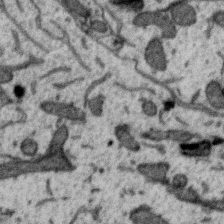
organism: Zebra finch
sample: Brain